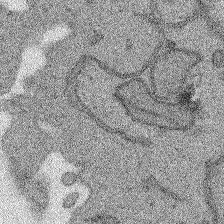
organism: Human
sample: HeLa cells